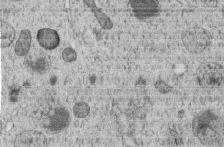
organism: C. elegans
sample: C. elegans embryo early stage